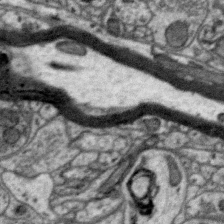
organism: Zebra finch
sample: Brain